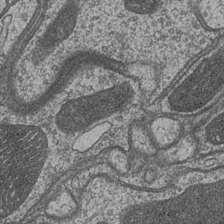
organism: Drosophila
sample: Optic medulla